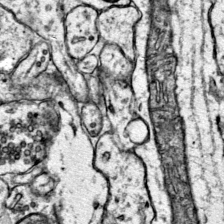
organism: Mouse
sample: Primary visual cortex